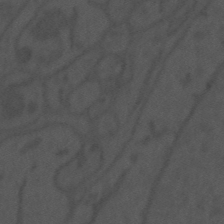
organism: Mouse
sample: Suprachiasmatic nucleus